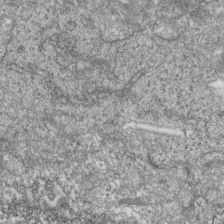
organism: Zebrafish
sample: Cilia; retinal pigment epithelium